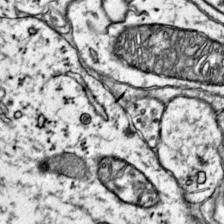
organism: Mouse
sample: Primary visual cortex